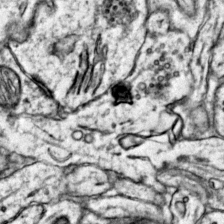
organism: Mouse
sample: Primary visual cortex